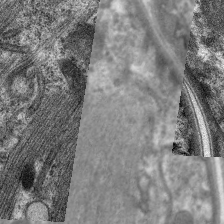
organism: C. elegans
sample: Pharynx